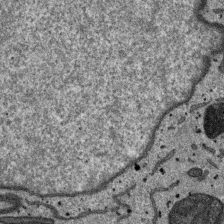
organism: Human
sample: Lung epithelial cells, uninfected (mock) control